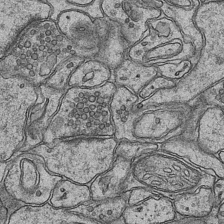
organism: Mouse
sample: CA1 Hippocampus